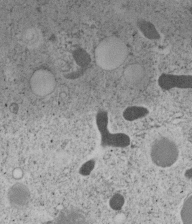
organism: C. elegans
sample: C. elegans embryo early stage